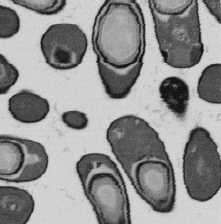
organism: B. subtilis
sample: Bacterial spore